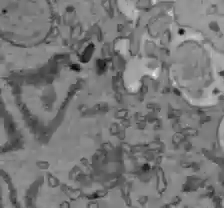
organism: C57BL Mouse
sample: Liver